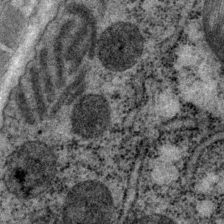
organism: P. pacificus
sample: Pharynx